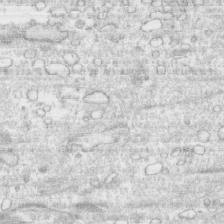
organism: Human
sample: CRL-1474